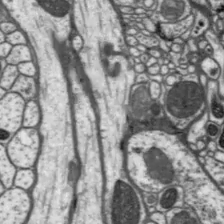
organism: Drosophila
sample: Protocerebral bridge